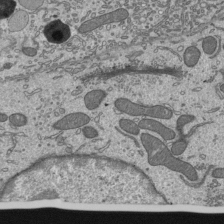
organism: Mouse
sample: Mouse epididymis efferent ductule cilia